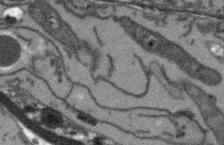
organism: Arabidopsis thaliana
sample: Root tip